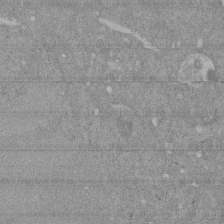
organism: Mouse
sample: ED-1 cell nuclei; centrioles